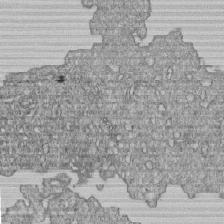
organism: Human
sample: MDA-MB-231 cells